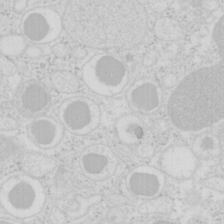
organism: Mouse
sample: Pancreas